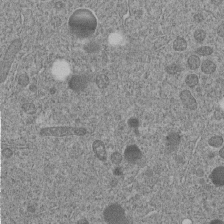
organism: C. elegans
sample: C. elegans embryo early stage